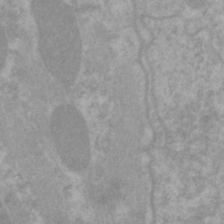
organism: C. elegans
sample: Pharynx